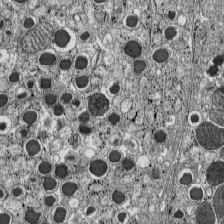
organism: C57BL Mouse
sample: Pancreatic islet